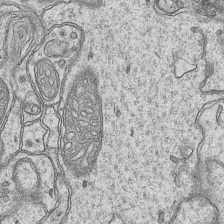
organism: Mouse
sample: CA1 Hippocampus